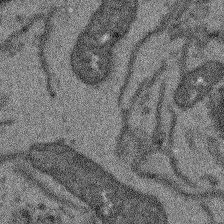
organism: Arabidopsis thaliana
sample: Root tip